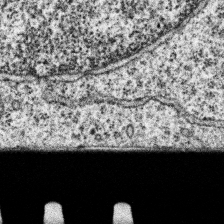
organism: Human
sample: HeLa cells